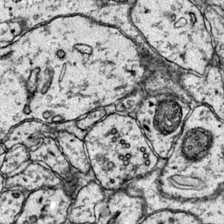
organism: Mouse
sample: Primary visual cortex